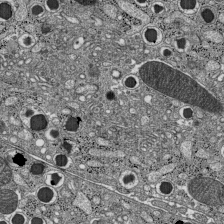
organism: C57BL Mouse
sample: Pancreatic islet